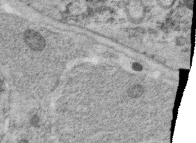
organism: C. elegans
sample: C. elegans oocyte; sperm cells